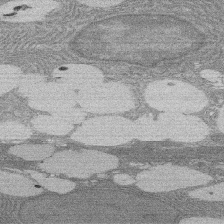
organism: Rat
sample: Salivary granule